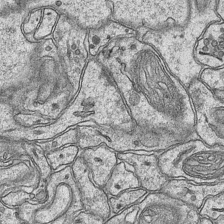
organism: Mouse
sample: CA1 Hippocampus